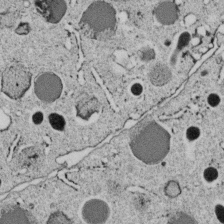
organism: C. elegans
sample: C. elegans embryo early stage